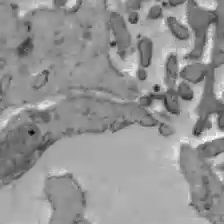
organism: C57BL Mouse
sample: Liver